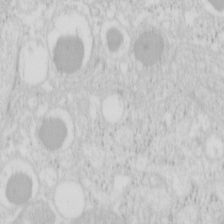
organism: Mouse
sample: Pancreas